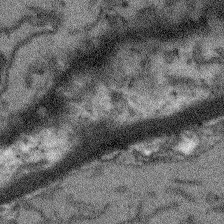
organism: Arabidopsis thaliana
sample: Root tip